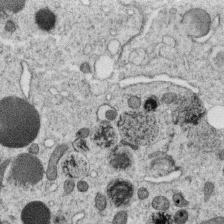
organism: C. elegans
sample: C. elegans oocyte; sperm cells